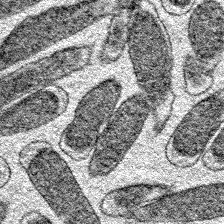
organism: E. coli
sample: E. Coli Bacteria